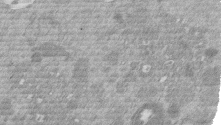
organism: Mouse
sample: Dividing mouse embryo 1 cell stage